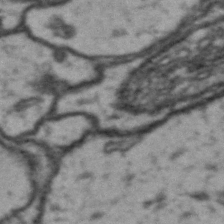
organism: Drosophila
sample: Brain